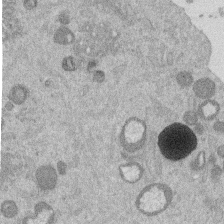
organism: Mouse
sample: Dividing mouse embryo 1 cell stage